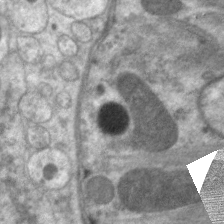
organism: C. elegans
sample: Pharynx